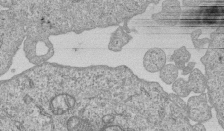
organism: Human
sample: MDA-MB-231 cells